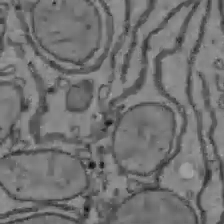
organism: C57BL Mouse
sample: Liver